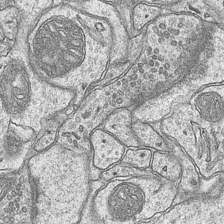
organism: Mouse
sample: CA1 Hippocampus